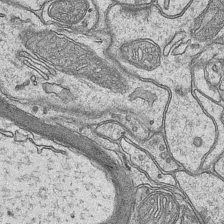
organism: Mouse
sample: CA1 Hippocampus